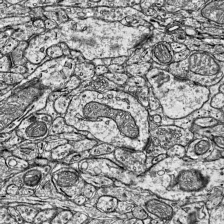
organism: Mouse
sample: Visual Cortex